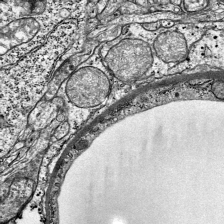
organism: Mouse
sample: Visual Cortex